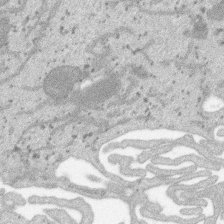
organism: Human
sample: Lung epithelial cells infected with SARS-CoV-2